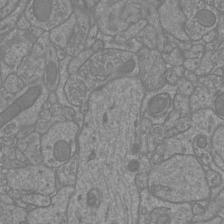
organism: Mouse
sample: Cortical neurons